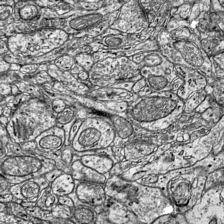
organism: Mouse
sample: Visual Cortex